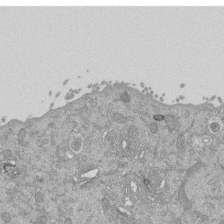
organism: Mouse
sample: ED-1 cell nuclei; centrioles